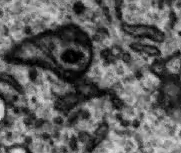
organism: Human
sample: HeLa cells